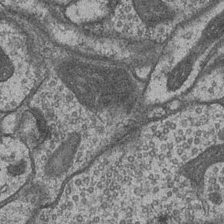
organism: Drosophila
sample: Optic medulla